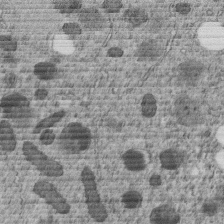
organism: C. elegans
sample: C. elegans embryo early stage